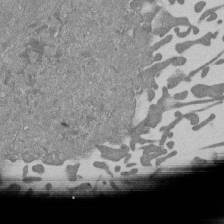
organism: Mouse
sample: ED-1 cell nuclei; centrioles